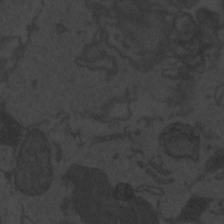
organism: Zebrafish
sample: Macrophage infected with Toxoplasma gondii